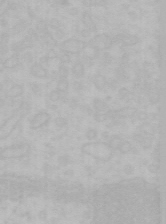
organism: Mouse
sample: Choroid plexus